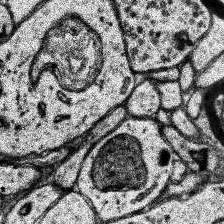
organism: Human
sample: Temporal Lobe